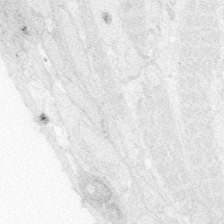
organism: Zebrafish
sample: Whole-Brain